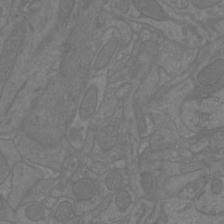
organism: Mouse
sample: Cortical neurons